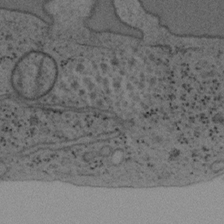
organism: Human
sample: HeLa cells